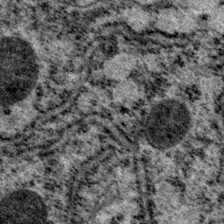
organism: P. pacificus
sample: Pharynx